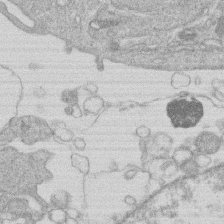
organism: Human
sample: Macrophage cells